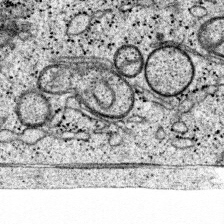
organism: Human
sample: HeLa cells